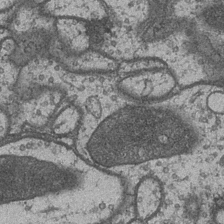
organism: Drosophila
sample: Optic medulla